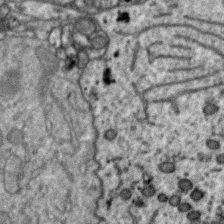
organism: Zebra finch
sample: Brain